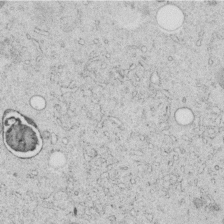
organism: C. elegans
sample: C. elegans embryo early stage